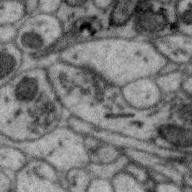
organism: Zebra finch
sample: Brain